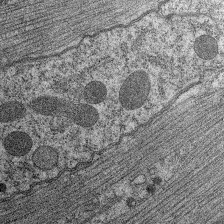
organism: C. elegans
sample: Pharynx